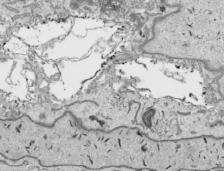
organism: Human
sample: Mitochondria in HCT116 cells